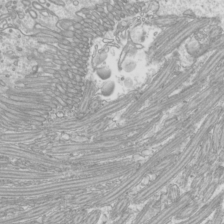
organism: Mouse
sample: Cilia; mouse epididymis